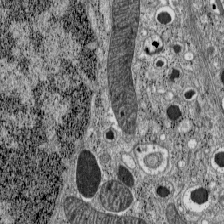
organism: C57BL Mouse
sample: Pancreatic islet